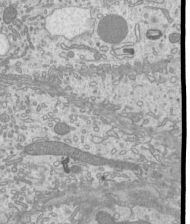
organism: Mouse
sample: Cilia; mouse epididymis